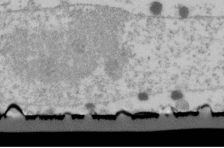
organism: Human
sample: U2-OS cells